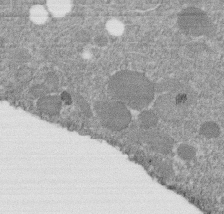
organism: C. elegans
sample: C. elegans embryo early stage